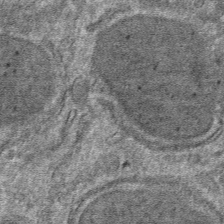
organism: Mouse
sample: Mouse hepatocytes